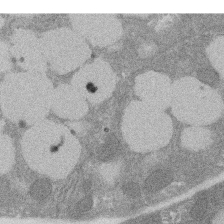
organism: Rat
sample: Salivary granule